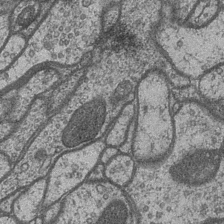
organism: Drosophila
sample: Optic medulla